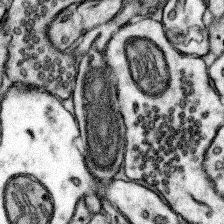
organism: Mouse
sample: Somatosensory cortex neuropil